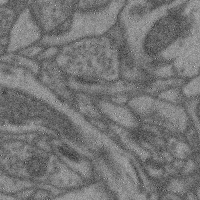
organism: Mouse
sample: Cerebral cortex